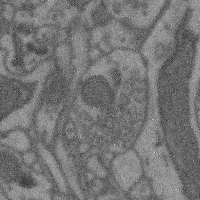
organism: Mouse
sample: Cerebral cortex